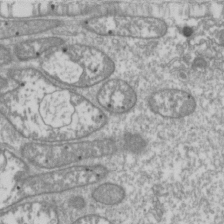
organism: Drosophila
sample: Cell division; meiosis; drosophila spermatocytes